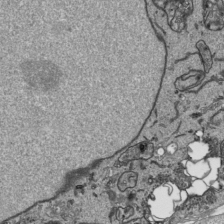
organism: Human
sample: Mitochondria in HCT116 cells